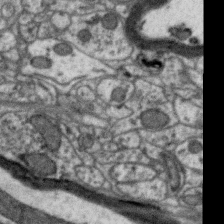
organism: Zebra finch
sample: Brain